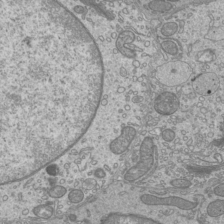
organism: Mouse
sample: Cilia; mouse epididymis